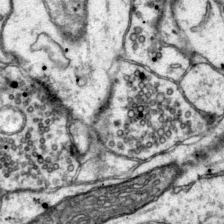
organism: Mouse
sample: Primary visual cortex